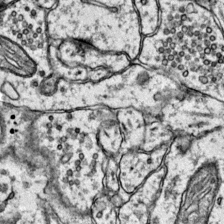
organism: Mouse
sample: Primary visual cortex